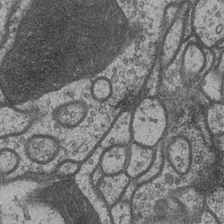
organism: Drosophila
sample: Optic medulla